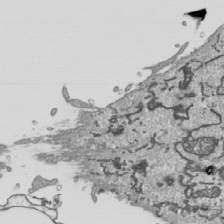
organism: Human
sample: Mitochondria in HCT116 cells